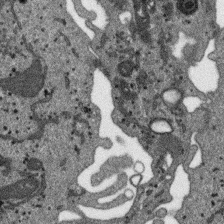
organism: Human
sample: Lung epithelial cells infected with SARS-CoV-2